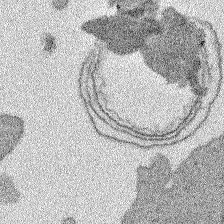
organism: Human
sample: HeLa cells